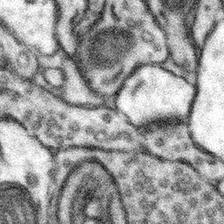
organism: Mouse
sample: Somatosensory cortex neuropil